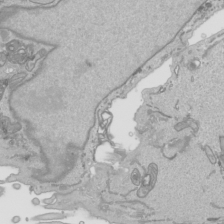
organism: Human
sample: Mitochondria in HCT116 cells